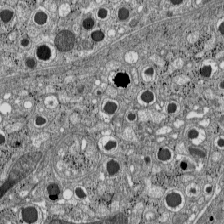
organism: C57BL Mouse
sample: Pancreatic islet